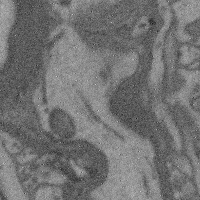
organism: Mouse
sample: Cerebral cortex